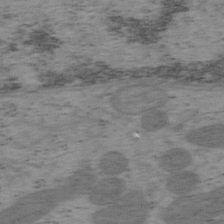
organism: Mouse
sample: OT-I killer T cells with ID8 ovarian cancer cells